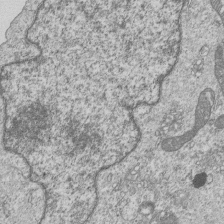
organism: Human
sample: MDA-MB-231 cells